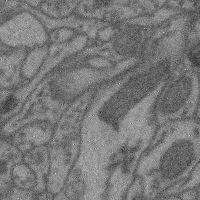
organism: Mouse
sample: Cerebral cortex